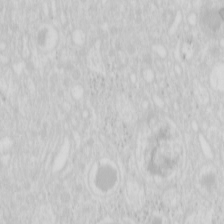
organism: Mouse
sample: Pancreas